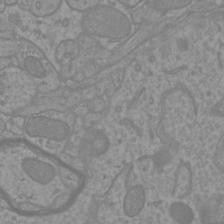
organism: Mouse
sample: Cortical neurons